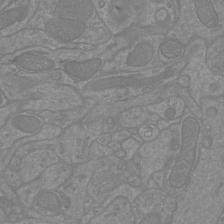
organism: Mouse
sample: Cortical neurons